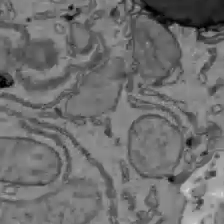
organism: C57BL Mouse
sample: Liver